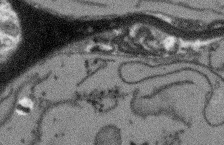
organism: Arabidopsis thaliana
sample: Root tip